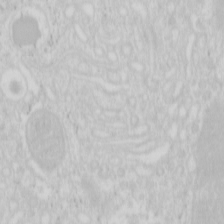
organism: Mouse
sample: Pancreas